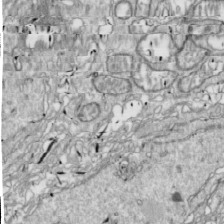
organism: Drosophila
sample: Cell division; meiosis; drosophila spermatocytes